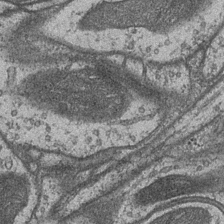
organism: Drosophila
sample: Optic medulla